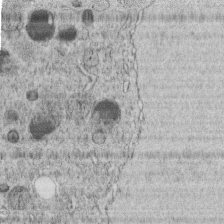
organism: C. elegans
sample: C. elegans embryo early stage